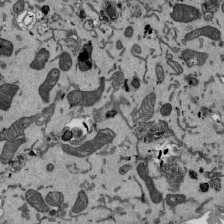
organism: Mouse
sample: ED-1 cell nuclei; centrioles